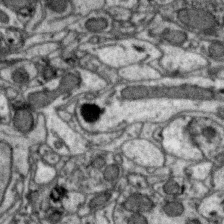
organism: Zebra finch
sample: Brain